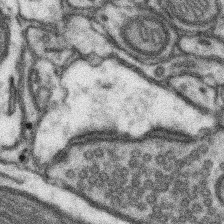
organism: Mouse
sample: Somatosensory cortex neuropil